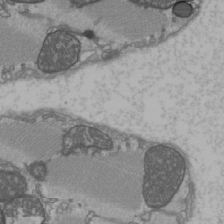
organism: C57BL Mouse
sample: Heart